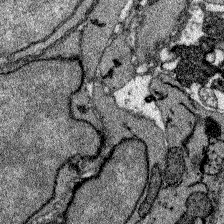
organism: Zebrafish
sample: Larval olfactory bulb